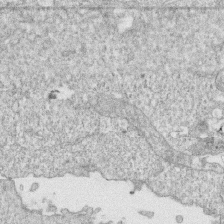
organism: Human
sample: HeLa cell HIV synapse